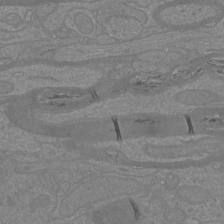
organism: Mouse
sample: Cortical neurons